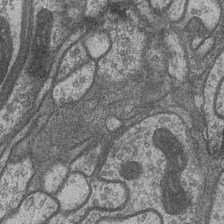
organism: Drosophila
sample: Optic medulla